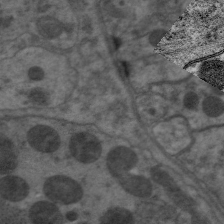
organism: C. elegans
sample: Pharynx